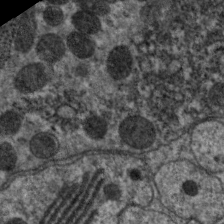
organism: C. elegans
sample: Pharynx